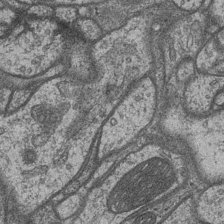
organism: Drosophila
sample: Optic medulla